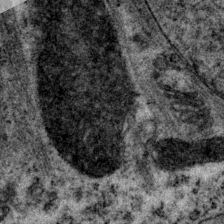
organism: P. pacificus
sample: Pharynx